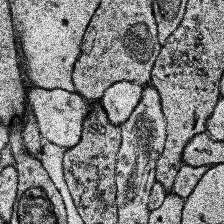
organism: Human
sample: Temporal Lobe